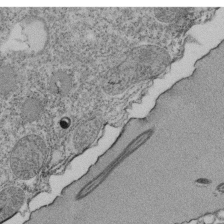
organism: Tetrahymena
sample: Cilia in tetrahymena